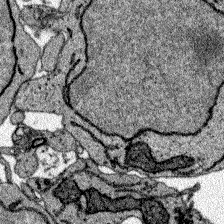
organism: Zebrafish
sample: Larval olfactory bulb